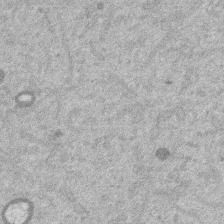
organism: Mouse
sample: Dividing mouse embryo 1 cell stage